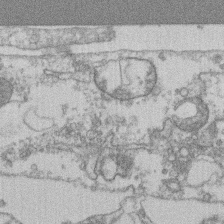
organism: Mouse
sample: T cell stromal cell synapse